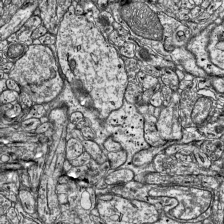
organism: Mouse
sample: Visual Cortex